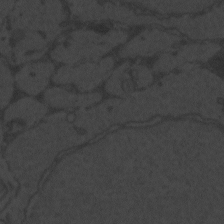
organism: Zebrafish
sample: Macrophage infected with Toxoplasma gondii